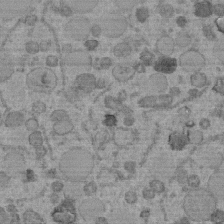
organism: C. elegans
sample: C. elegans embryo early stage